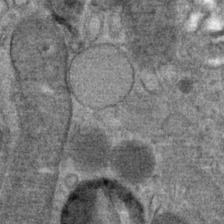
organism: Mouse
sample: Mouse Salivary gland